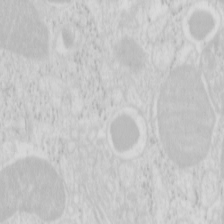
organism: Mouse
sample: Pancreas